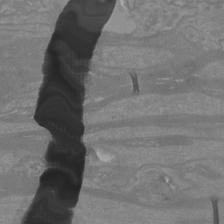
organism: Mouse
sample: Cortical neurons